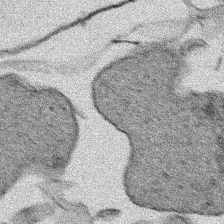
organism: Human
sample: Mitochondria in HCT116 cells